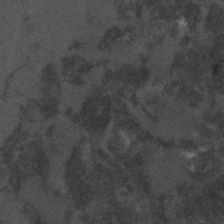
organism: C. elegans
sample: C. elegans embryo